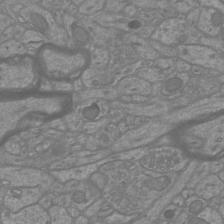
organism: Mouse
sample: Cortical neurons